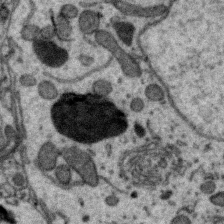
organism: Zebra finch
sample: Brain